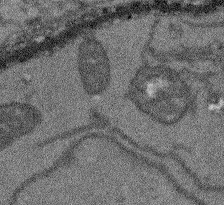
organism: Arabidopsis thaliana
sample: Root tip